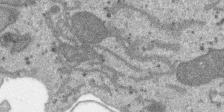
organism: Human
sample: Lung epithelial cells infected with SARS-CoV-2